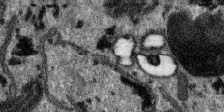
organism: Human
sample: Lung epithelial cells infected with SARS-CoV-2